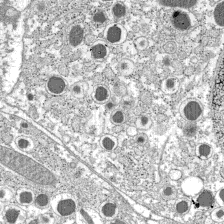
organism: C57BL Mouse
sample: Pancreatic islet